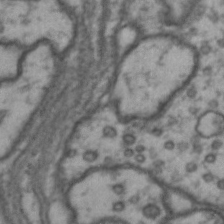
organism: Drosophila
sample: Brain